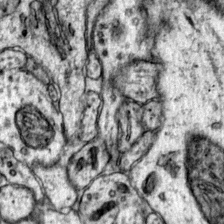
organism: Mouse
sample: Primary visual cortex